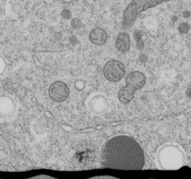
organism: C. elegans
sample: C. elegans embryo early stage